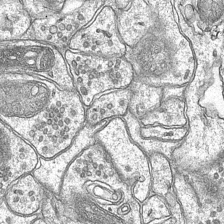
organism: Mouse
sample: CA1 Hippocampus